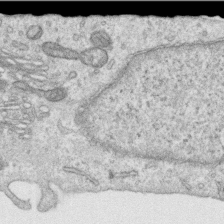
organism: Human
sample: Centriole in RPE cells